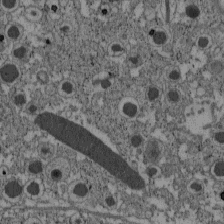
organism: C57BL Mouse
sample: Pancreatic islet